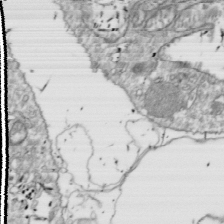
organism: Drosophila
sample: Cell division; meiosis; drosophila spermatocytes